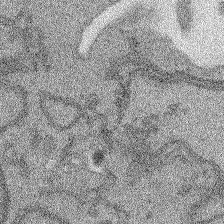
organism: Human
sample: HeLa cells